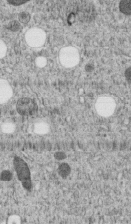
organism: C. elegans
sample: C. elegans embryo early stage